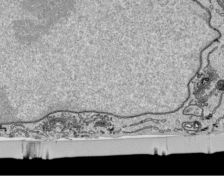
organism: Human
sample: Mitochondria in HCT116 cells